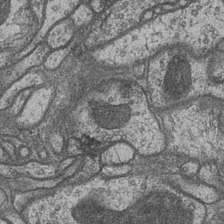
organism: Drosophila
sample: Optic medulla